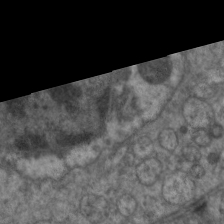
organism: C. elegans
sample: Pharynx